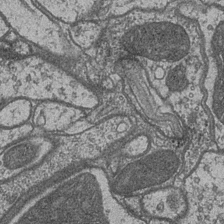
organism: Drosophila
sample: Optic medulla